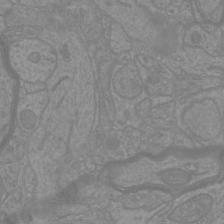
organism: Mouse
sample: Cortical neurons